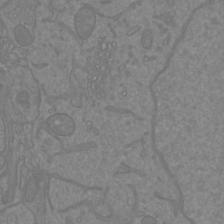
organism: Mouse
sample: Cortical neurons